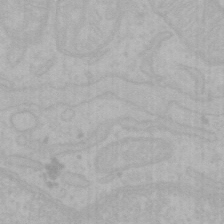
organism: Mouse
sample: Choroid plexus